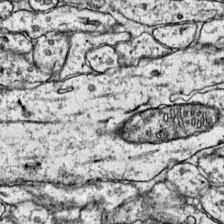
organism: Mouse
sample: Primary visual cortex